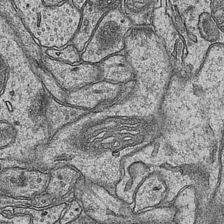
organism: Mouse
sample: CA1 Hippocampus